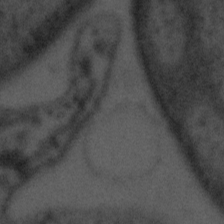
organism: Tuwongella immobilis